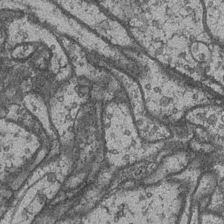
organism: Drosophila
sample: Optic medulla